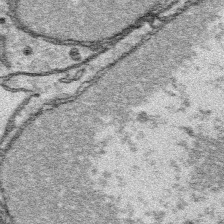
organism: Platynereis dumerilii